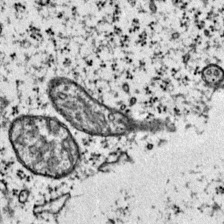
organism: Mouse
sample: Primary visual cortex